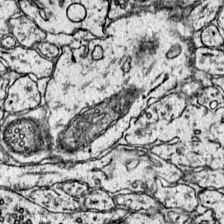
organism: Mouse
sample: Primary visual cortex